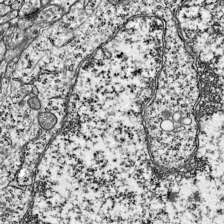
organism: Mouse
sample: Visual Cortex